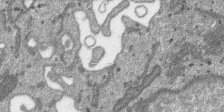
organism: Human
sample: Lung epithelial cells infected with SARS-CoV-2